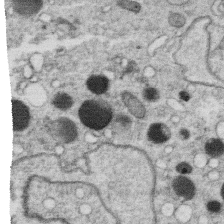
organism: C. elegans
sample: C. elegans oocyte; sperm cells